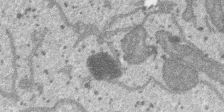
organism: Human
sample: Lung epithelial cells infected with SARS-CoV-2